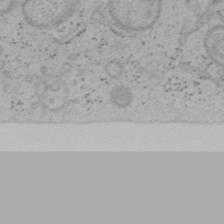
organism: Human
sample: HeLa cells